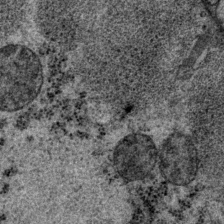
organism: P. pacificus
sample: Pharynx